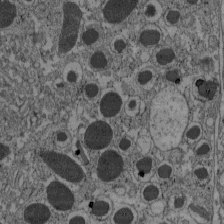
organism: C57BL Mouse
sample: Pancreatic islet